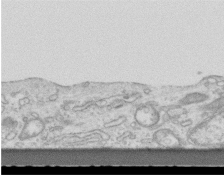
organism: Mouse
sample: Centriole in ependymal cells